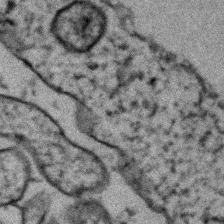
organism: Zebrafish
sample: Zebrafish embryo